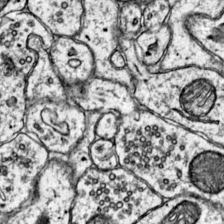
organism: Mouse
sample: Primary visual cortex